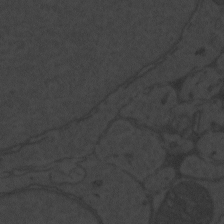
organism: Zebrafish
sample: Macrophage infected with Toxoplasma gondii